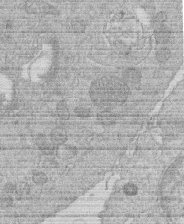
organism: Human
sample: Macrophage cells